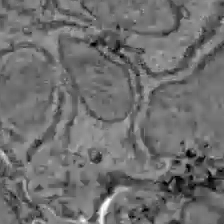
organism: C57BL Mouse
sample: Liver